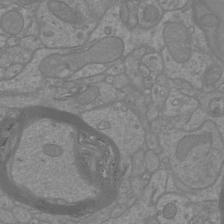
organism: Mouse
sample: Cortical neurons